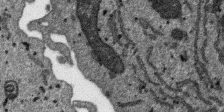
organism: Human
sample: Lung epithelial cells infected with SARS-CoV-2